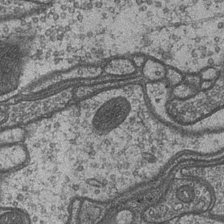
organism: Drosophila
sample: Optic medulla